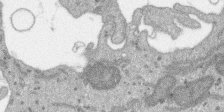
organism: Human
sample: Lung epithelial cells infected with SARS-CoV-2